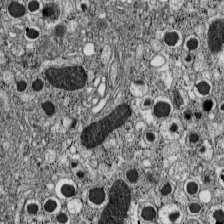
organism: C57BL Mouse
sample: Pancreatic islet